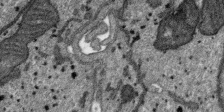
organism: Human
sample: Lung epithelial cells, uninfected (mock) control